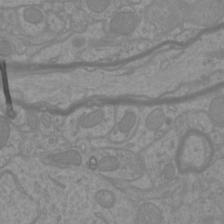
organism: Mouse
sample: Cortical neurons